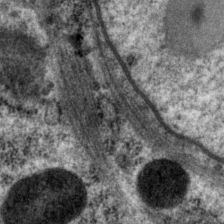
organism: P. pacificus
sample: Pharynx